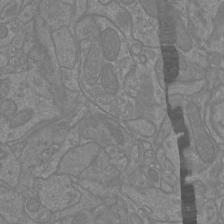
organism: Mouse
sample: Cortical neurons